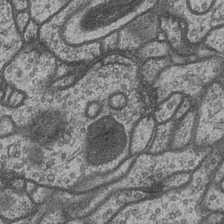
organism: Drosophila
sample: Optic medulla